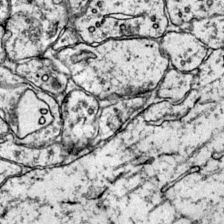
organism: Mouse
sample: Primary visual cortex